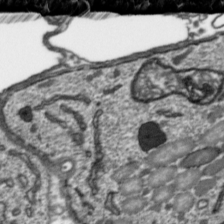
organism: Toxoplasma gondii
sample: Parasites in a vacuole inside a host cell